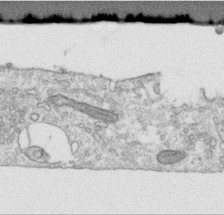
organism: Human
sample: Centriole in RPE cells